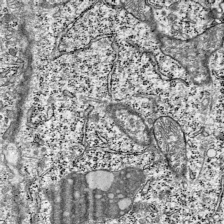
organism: Mouse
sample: Visual Cortex